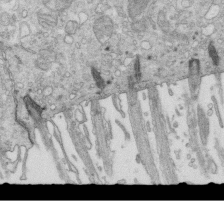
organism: Mouse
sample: Multiciliated cells